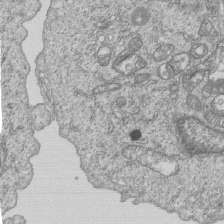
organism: Human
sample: MDA-MB-231 cells